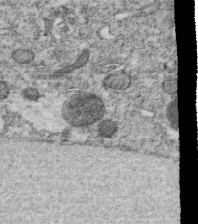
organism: C. elegans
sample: C. elegans oocyte; sperm cells